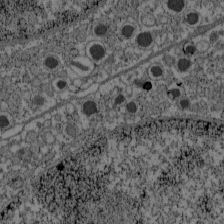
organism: C57BL Mouse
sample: Pancreatic islet